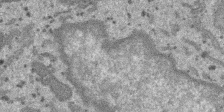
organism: Human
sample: Lung epithelial cells infected with SARS-CoV-2